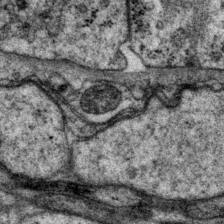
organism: P. pacificus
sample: Pharynx